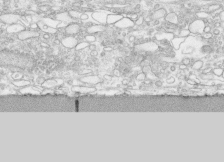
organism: Human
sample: CRL-1474